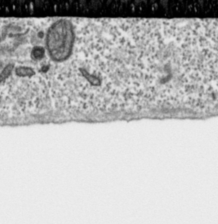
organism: Toxoplasma gondii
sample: Parasites in a vacuole inside a host cell